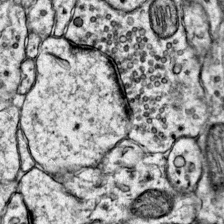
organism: Mouse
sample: Primary visual cortex